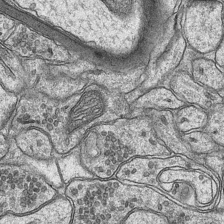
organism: Mouse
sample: CA1 Hippocampus